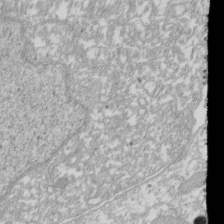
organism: Xenopus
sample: Cilia; centrioles in frog embryo cells